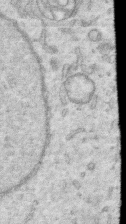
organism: Human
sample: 1205lu cells